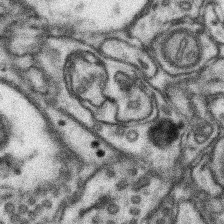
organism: Mouse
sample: Somatosensory cortex neuropil